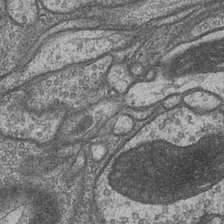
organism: Drosophila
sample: Optic medulla